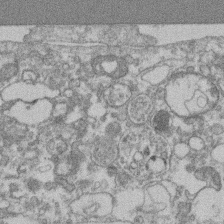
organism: Mouse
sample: T cell stromal cell synapse